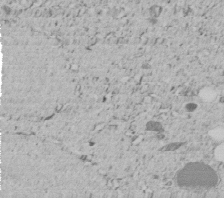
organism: C. elegans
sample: C. elegans embryo early stage